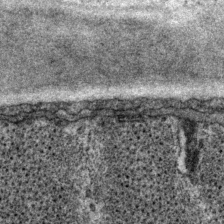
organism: P. pacificus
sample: Pharynx